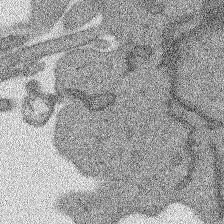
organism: Human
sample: HeLa cells